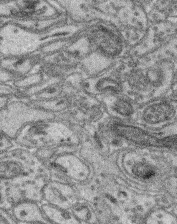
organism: Mouse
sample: Retina